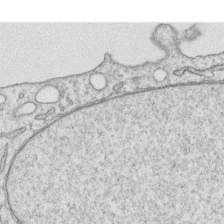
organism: Human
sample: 1205lu cells